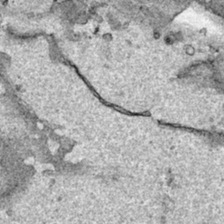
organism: Human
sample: Mitochondria in HCT116 cells